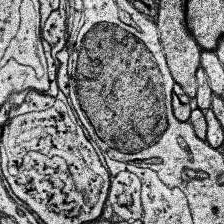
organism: Human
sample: Temporal Lobe